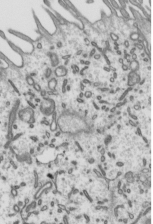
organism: Mouse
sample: Mouse epididymis efferent ductule cilia